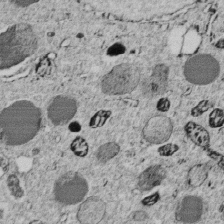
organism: C. elegans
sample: C. elegans embryo early stage